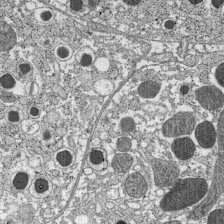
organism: C57BL Mouse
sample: Pancreatic islet